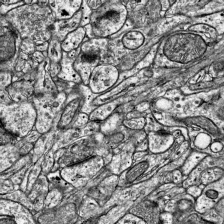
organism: Mouse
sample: Visual Cortex